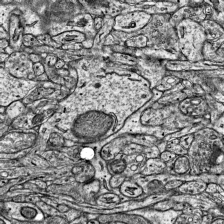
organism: Mouse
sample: Visual Cortex